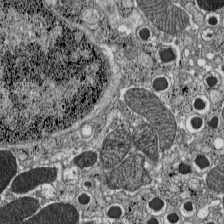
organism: C57BL Mouse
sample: Pancreatic islet